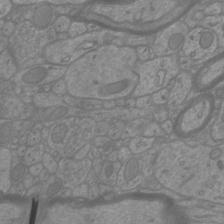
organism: Mouse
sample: Cortical neurons